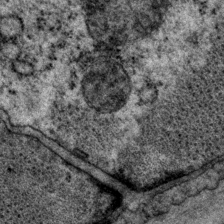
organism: P. pacificus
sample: Pharynx